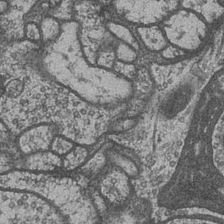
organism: Drosophila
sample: Optic medulla